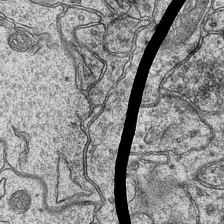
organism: Mouse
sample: CA1 Hippocampus